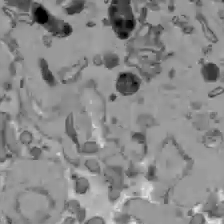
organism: C57BL Mouse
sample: Liver